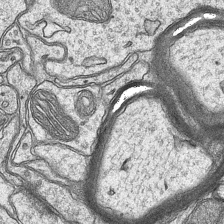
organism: Mouse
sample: CA1 Hippocampus